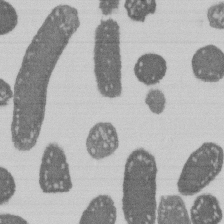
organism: E. coli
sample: Bacterial nucleoid